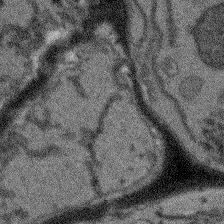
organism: Arabidopsis thaliana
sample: Root tip